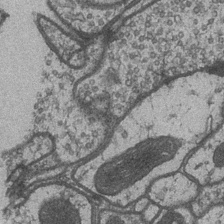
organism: Drosophila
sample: Optic medulla